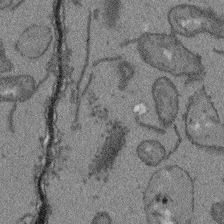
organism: Arabidopsis thaliana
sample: Root tip